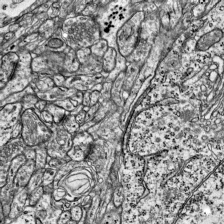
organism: Mouse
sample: Visual Cortex